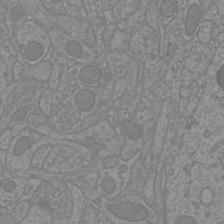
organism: Mouse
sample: Cortical neurons